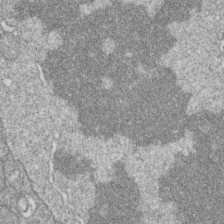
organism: Zebrafish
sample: Cilia; retinal pigment epithelium